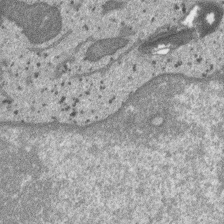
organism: Human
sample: Lung epithelial cells infected with SARS-CoV-2